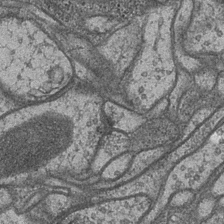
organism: Drosophila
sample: Optic medulla